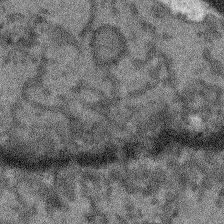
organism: Arabidopsis thaliana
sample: Root tip